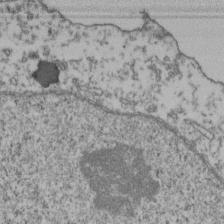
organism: Human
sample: Activated Jurkat CD4+ T cells